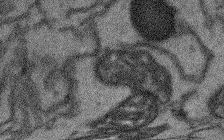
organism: Arabidopsis thaliana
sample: Root tip